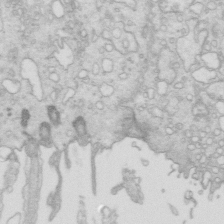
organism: Mouse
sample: Multiciliated cells